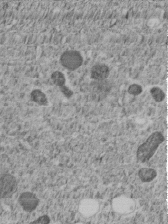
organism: C. elegans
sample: C. elegans embryo early stage